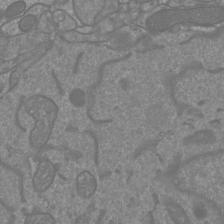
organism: Mouse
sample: Cortical neurons